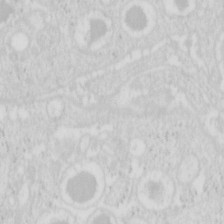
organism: Mouse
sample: Pancreas